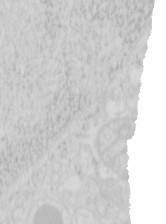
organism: Mouse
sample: Pancreas